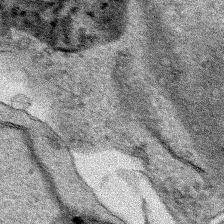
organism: Human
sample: Mitochondria in HCT116 cells